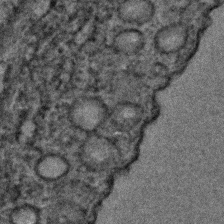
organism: C. elegans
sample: C. elegans embryo